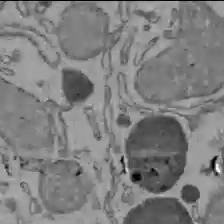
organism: C57BL Mouse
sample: Liver